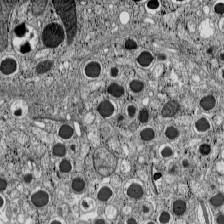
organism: C57BL Mouse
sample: Pancreatic islet